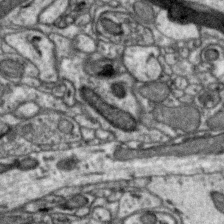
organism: Zebra finch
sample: Brain